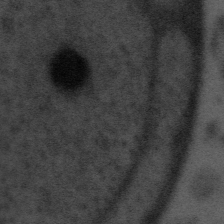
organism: Tuwongella immobilis